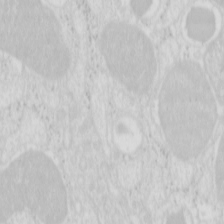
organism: Mouse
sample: Pancreas